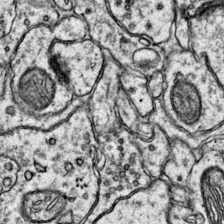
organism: Mouse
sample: Primary visual cortex